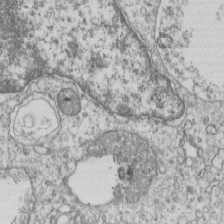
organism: Human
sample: MDA-MB-231 cells